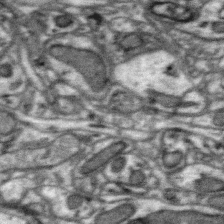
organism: Zebra finch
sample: Brain